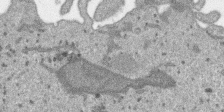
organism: Human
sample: Lung epithelial cells infected with SARS-CoV-2